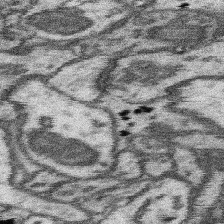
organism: Mouse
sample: Somatosensory cortex neuropil